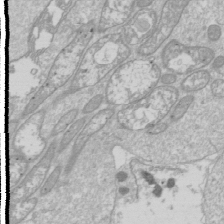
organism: Drosophila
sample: Cell division; meiosis; drosophila spermatocytes